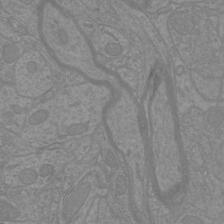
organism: Mouse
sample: Cortical neurons